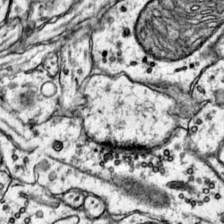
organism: Mouse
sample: Primary visual cortex